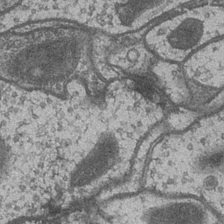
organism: Drosophila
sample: Optic medulla